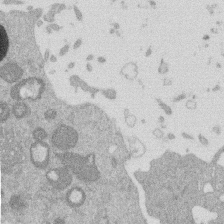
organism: Mouse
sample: Dividing mouse embryo 1 cell stage